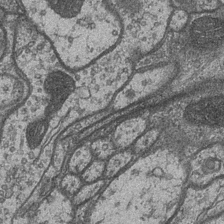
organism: Drosophila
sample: Optic medulla